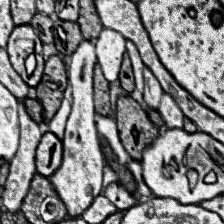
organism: Human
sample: Temporal Lobe